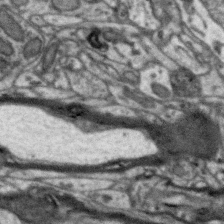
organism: Zebra finch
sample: Brain